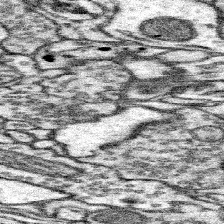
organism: Mouse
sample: Somatosensory cortex neuropil